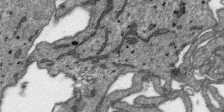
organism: Human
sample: Lung epithelial cells, uninfected (mock) control